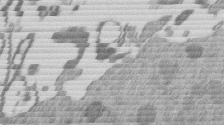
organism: Mouse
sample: Dividing mouse embryo 1 cell stage